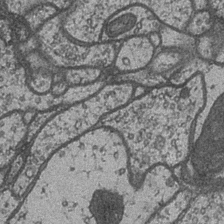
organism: Drosophila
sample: Optic medulla